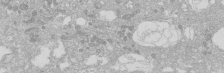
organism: Human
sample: Caco-2 cells